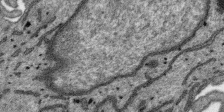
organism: Human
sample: Lung epithelial cells, uninfected (mock) control